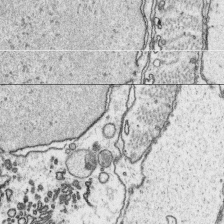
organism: Platynereis dumerilii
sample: Parapodia